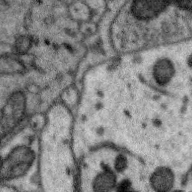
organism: Zebra finch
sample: Brain